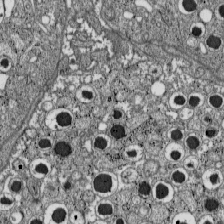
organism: C57BL Mouse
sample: Pancreatic islet